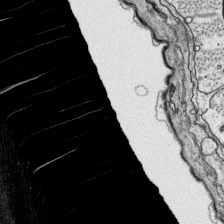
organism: Platynereis dumerilii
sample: Parapodia